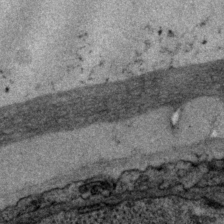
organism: P. pacificus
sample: Pharynx